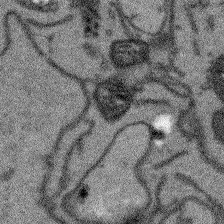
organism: Arabidopsis thaliana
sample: Root tip